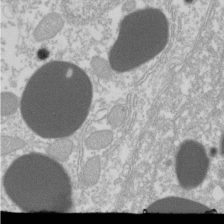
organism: Xenopus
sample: Cilia; centrioles in frog embryo cells